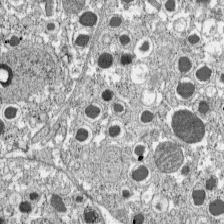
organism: C57BL Mouse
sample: Pancreatic islet